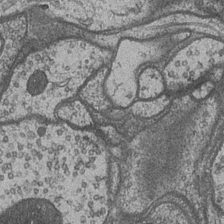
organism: Drosophila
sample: Optic medulla